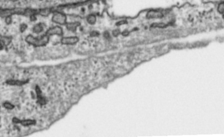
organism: Toxoplasma gondii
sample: Parasites in a vacuole inside a host cell